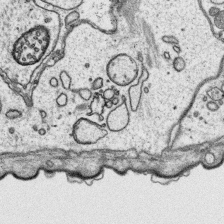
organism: Platynereis dumerilii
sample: Parapodia